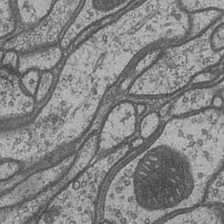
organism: Drosophila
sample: Optic medulla